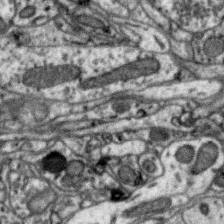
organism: Zebra finch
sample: Brain